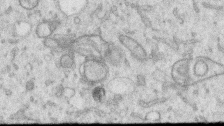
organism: Human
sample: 1205lu cells